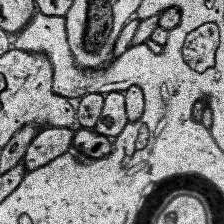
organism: Human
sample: Temporal Lobe